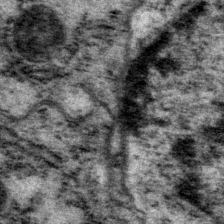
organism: P. pacificus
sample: Pharynx